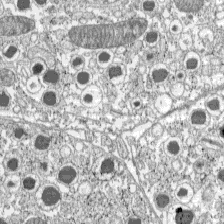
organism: C57BL Mouse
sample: Pancreatic islet